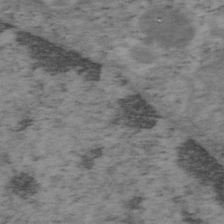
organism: Mouse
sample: OT-I killer T cells with ID8 ovarian cancer cells